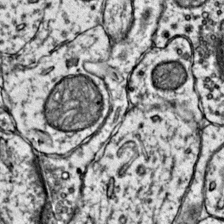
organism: Mouse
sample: Primary visual cortex